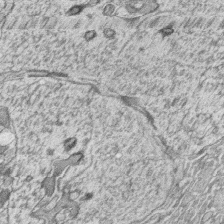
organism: Zebrafish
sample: synaptic ribbons in rod cells and cone cells